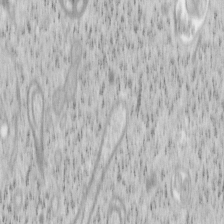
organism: Human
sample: HeLa cells